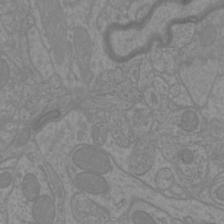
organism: Mouse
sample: Cortical neurons